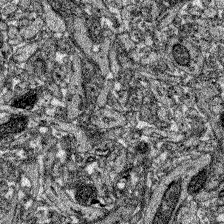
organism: Zebrafish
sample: Larval olfactory bulb